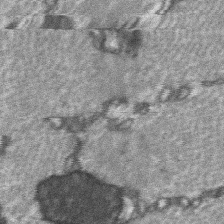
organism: C57BL Mouse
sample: Soleus